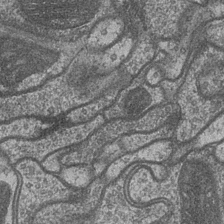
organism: Drosophila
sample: Optic medulla